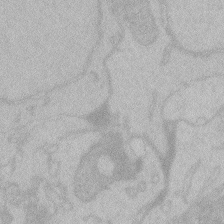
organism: Zebrafish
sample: Macrophage infected with Toxoplasma gondii